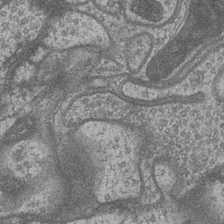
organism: Drosophila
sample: Optic medulla